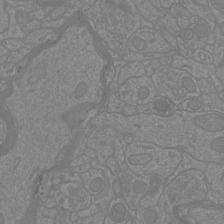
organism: Mouse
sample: Cortical neurons